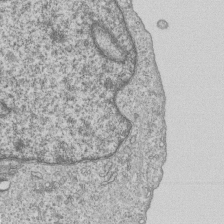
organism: Human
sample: MDA-MB-231 cells